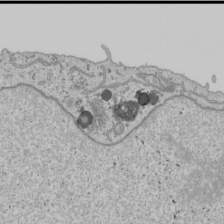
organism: Human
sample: Mitochondria in U2OS cells